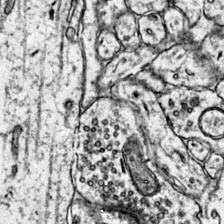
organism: Mouse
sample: Primary visual cortex